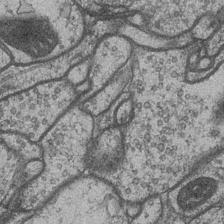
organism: Drosophila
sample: Optic medulla